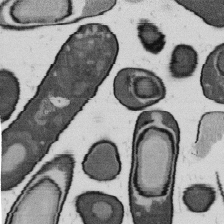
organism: B. subtilis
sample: Bacterial spore